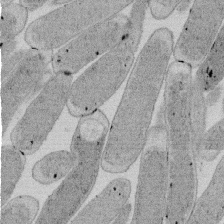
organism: E. coli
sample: Bacterial nucleoid